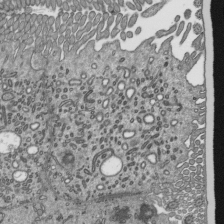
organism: Mouse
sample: Mouse epididymis efferent ductule cilia